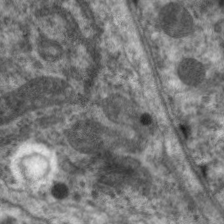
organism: C. elegans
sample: Pharynx